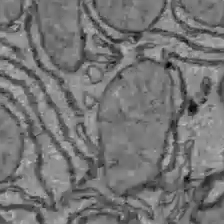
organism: C57BL Mouse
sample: Liver